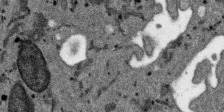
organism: Human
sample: Lung epithelial cells, uninfected (mock) control